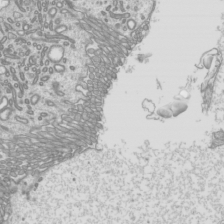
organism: Mouse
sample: Cilia; mouse epididymis